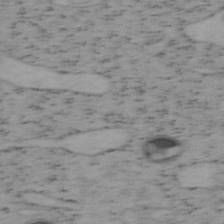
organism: Mouse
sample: OT-I killer T cells with ID8 ovarian cancer cells